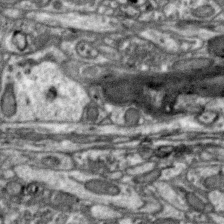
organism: Zebra finch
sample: Brain